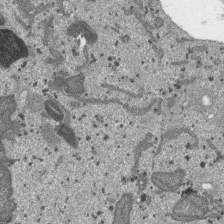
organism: Human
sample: Lung epithelial cells infected with SARS-CoV-2